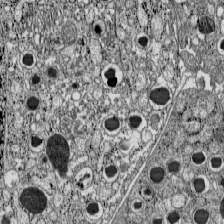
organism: C57BL Mouse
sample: Pancreatic islet